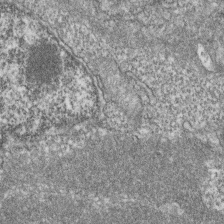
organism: Zebrafish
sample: Cilia; retinal pigment epithelium